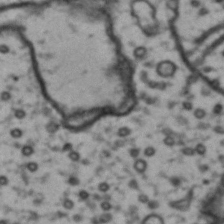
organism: Drosophila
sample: Brain